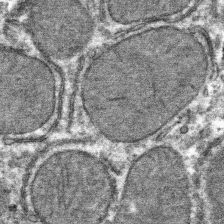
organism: Mouse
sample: Mouse hepatocytes